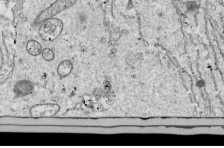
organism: Drosophila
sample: Cell division; meiosis; drosophila spermatocytes